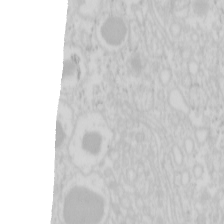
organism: Mouse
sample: Pancreas